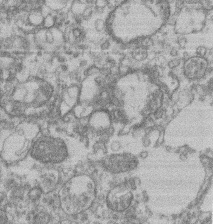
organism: Mouse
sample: T cell stromal cell synapse